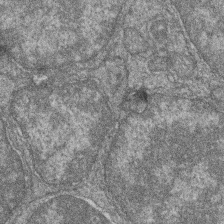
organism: Zebrafish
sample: Cilia; retinal pigment epithelium